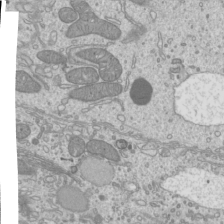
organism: Mouse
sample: Cilia; mouse epididymis